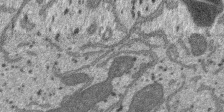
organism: Human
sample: Lung epithelial cells infected with SARS-CoV-2